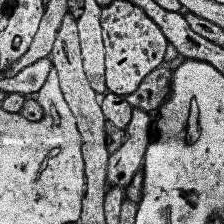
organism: Human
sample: Temporal Lobe